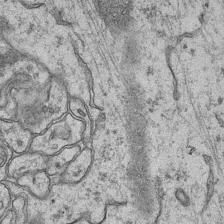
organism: Mouse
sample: CA1 Hippocampus